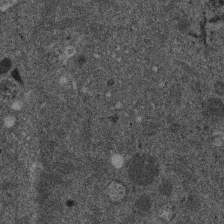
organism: Mouse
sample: Dividing mouse embryo 1 cell stage